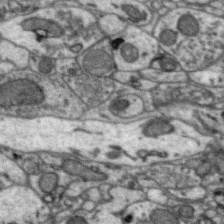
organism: Zebra finch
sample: Brain